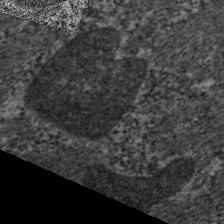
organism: C. elegans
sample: Pharynx